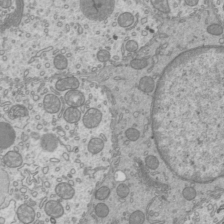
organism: Mouse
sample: Cilia; mouse epididymis